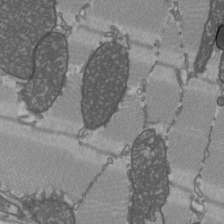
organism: C57BL Mouse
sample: Heart